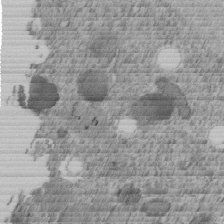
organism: C. elegans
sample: C. elegans embryo early stage